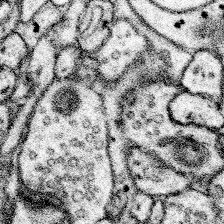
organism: Mouse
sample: Somatosensory cortex neuropil